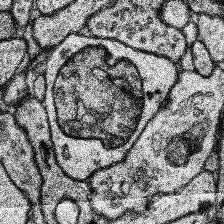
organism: Human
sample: Temporal Lobe